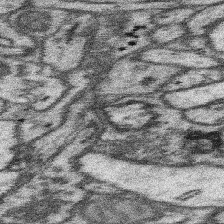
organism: Mouse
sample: Somatosensory cortex neuropil